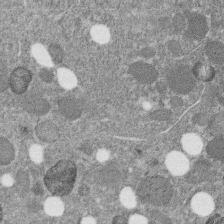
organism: C. elegans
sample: C. elegans embryo early stage